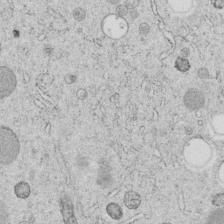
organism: C. elegans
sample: C. elegans embryo early stage